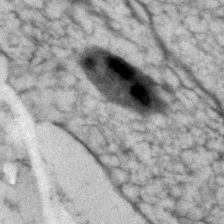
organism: Human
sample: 1205lu cells